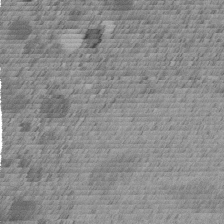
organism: C. elegans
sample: C. elegans embryo early stage